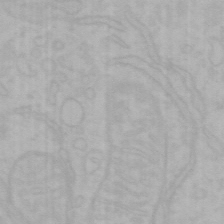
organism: Mouse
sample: Choroid plexus